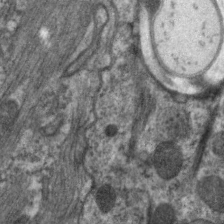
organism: C. elegans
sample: Pharynx